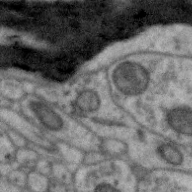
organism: Zebra finch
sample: Brain